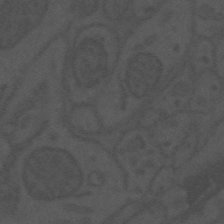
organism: Mouse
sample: Suprachiasmatic nucleus